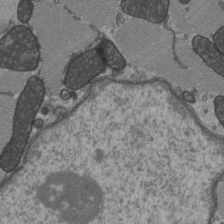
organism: C57BL Mouse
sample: Heart